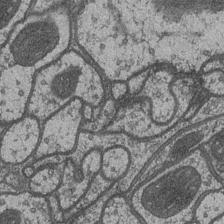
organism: Drosophila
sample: Optic medulla